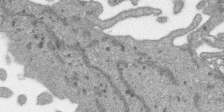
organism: Human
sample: Lung epithelial cells infected with SARS-CoV-2